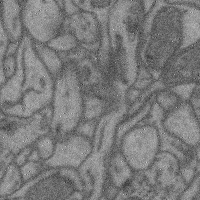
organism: Mouse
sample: Cerebral cortex